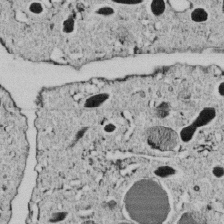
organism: C. elegans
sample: C. elegans embryo early stage